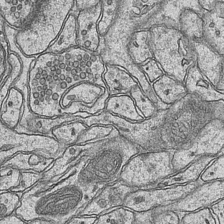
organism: Mouse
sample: CA1 Hippocampus